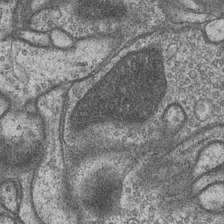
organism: Drosophila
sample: Optic medulla